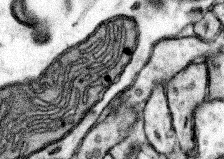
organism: Mouse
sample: Somatosensory cortex neuropil